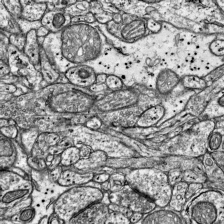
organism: Mouse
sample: Visual Cortex